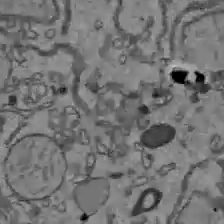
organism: C57BL Mouse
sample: Liver